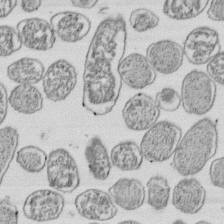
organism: E. coli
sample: Bacterial nucleoid